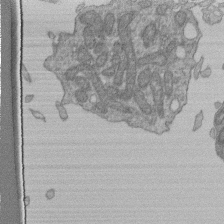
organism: Human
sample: Retinal organoid Rod and Cone cells